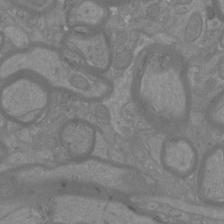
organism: Mouse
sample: Cortical neurons